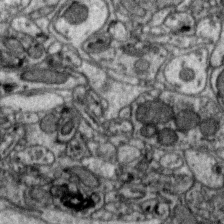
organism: Zebra finch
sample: Brain